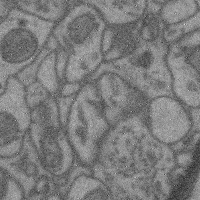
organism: Mouse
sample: Cerebral cortex